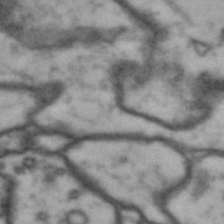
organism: Drosophila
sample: Brain